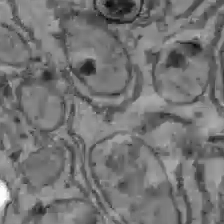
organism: C57BL Mouse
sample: Liver